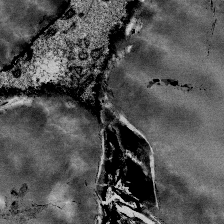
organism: Mouse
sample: Mouse Salivary gland